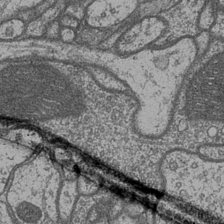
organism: Drosophila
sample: Optic medulla